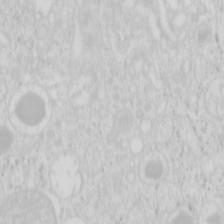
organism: Mouse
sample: Pancreas